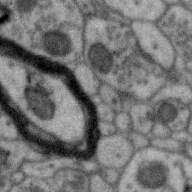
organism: Zebra finch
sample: Brain